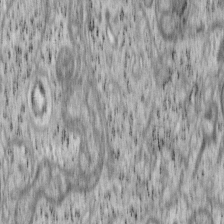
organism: Human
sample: HeLa cells